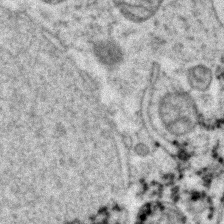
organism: Zebrafish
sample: Zebrafish embryo